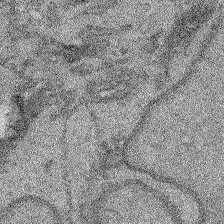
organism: Human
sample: HeLa cells